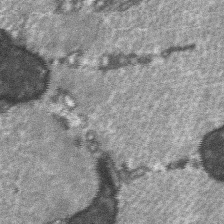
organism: C57BL Mouse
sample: Soleus